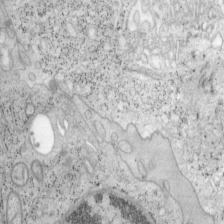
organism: Mouse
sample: OT-I killer T cells with ID8 ovarian cancer cells